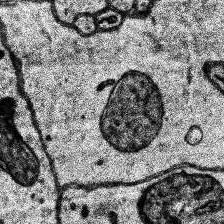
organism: Human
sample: Temporal Lobe